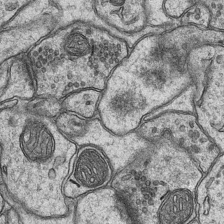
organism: Mouse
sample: CA1 Hippocampus